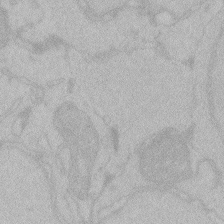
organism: Zebrafish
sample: Macrophage infected with Toxoplasma gondii